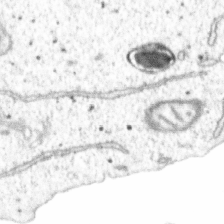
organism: Human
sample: HeLa cells